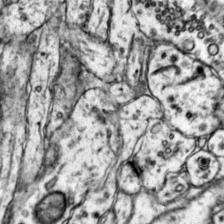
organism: Mouse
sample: Primary visual cortex